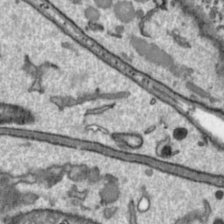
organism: Toxoplasma gondii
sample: Parasites in a vacuole inside a host cell